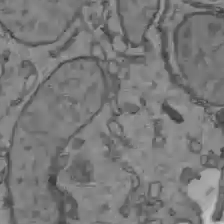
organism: C57BL Mouse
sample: Liver